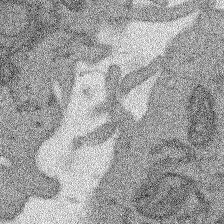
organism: Human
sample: HeLa cells